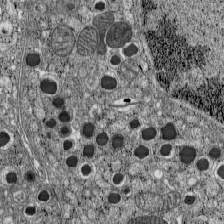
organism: C57BL Mouse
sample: Pancreatic islet